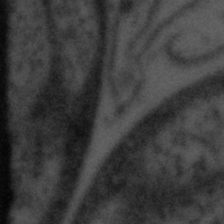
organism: Tuwongella immobilis